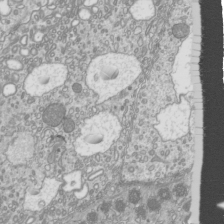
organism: Mouse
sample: Cilia; mouse epididymis